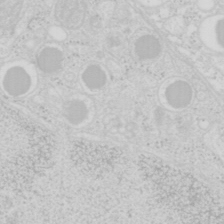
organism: Mouse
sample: Pancreas